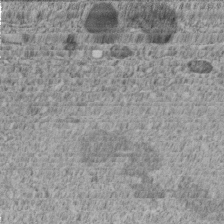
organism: C. elegans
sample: C. elegans embryo early stage